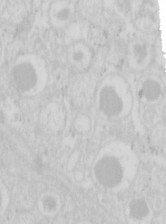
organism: Mouse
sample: Pancreas